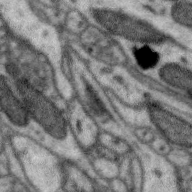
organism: Zebra finch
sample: Brain